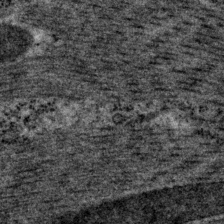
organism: P. pacificus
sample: Pharynx